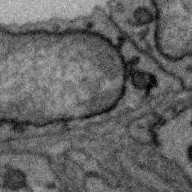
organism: Zebra finch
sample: Brain